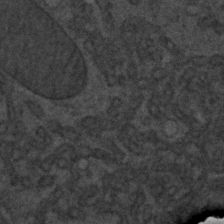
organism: C. elegans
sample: C. elegans embryo